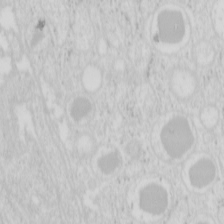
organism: Mouse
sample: Pancreas